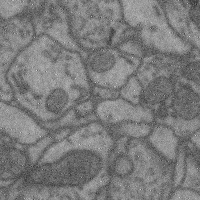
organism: Mouse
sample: Cerebral cortex